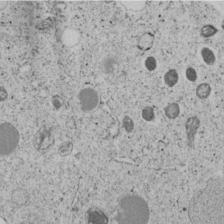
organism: C. elegans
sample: C. elegans embryo early stage